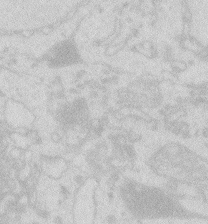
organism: Zebrafish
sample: Macrophage